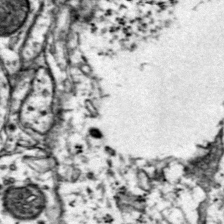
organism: Mouse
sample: Primary visual cortex